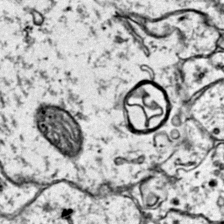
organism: Mouse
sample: Primary visual cortex